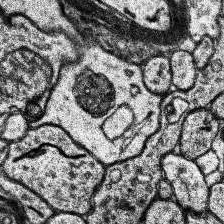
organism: Human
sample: Temporal Lobe